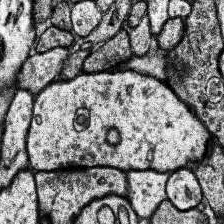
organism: Human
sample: Temporal Lobe